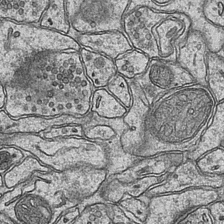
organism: Mouse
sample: CA1 Hippocampus